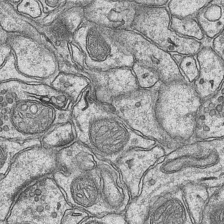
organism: Mouse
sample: CA1 Hippocampus